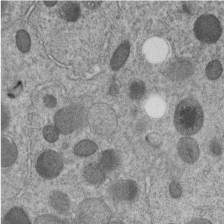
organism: C. elegans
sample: C. elegans embryo early stage